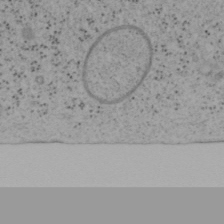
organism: Human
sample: HeLa cells